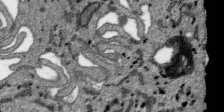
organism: Human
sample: Lung epithelial cells, uninfected (mock) control